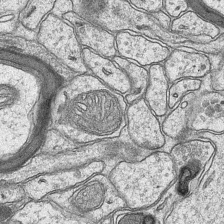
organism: Mouse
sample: CA1 Hippocampus